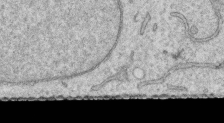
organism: Human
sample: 1205lu cells